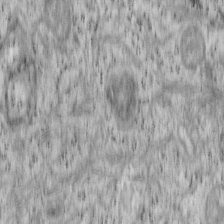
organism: Human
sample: HeLa cells